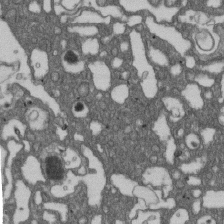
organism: Drosophila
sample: Nephrocyte